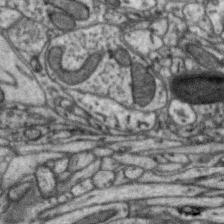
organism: Zebra finch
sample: Brain